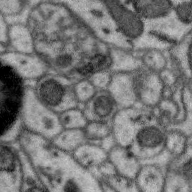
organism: Zebra finch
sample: Brain